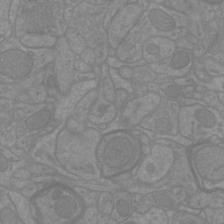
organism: Mouse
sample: Cortical neurons